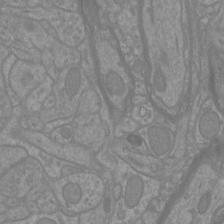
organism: Mouse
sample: Cortical neurons